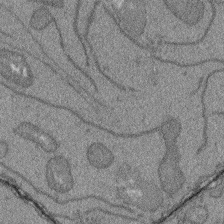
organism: Arabidopsis thaliana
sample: Root tip